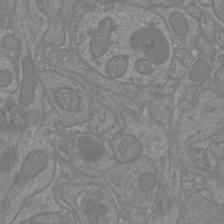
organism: Mouse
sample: Cortical neurons